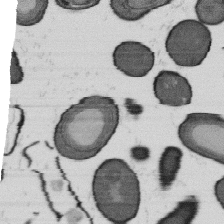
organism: B. subtilis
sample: Bacterial spore